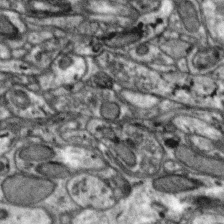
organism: Zebra finch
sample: Brain